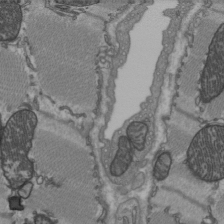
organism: C57BL Mouse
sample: Heart